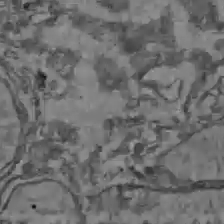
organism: C57BL Mouse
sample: Liver